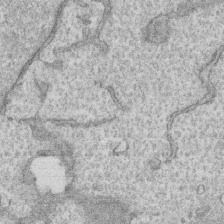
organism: Human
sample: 1205lu cells